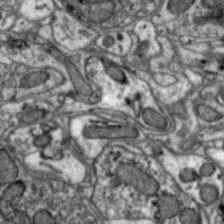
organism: Zebra finch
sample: Brain